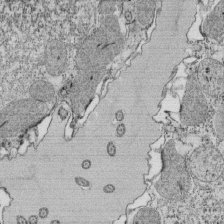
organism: Tetrahymena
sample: Cilia in tetrahymena